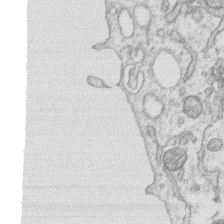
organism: Human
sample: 1205lu cells